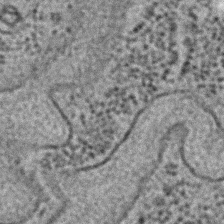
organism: C. elegans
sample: C. elegans embryo